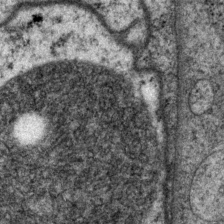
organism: P. pacificus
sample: Pharynx